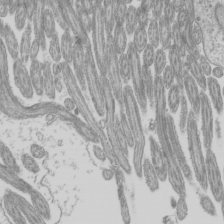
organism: Mouse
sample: Cilia; mouse epididymis